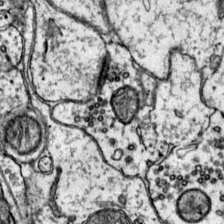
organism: Mouse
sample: Primary visual cortex